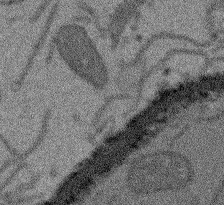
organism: Arabidopsis thaliana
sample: Root tip